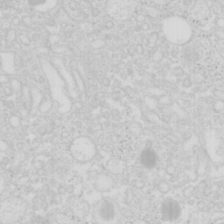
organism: Mouse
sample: Pancreas